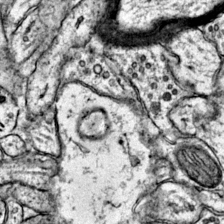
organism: Mouse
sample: Primary visual cortex